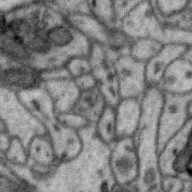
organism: Zebra finch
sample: Brain